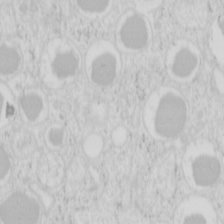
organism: Mouse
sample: Pancreas